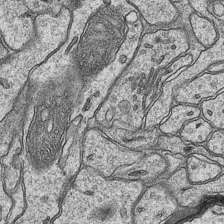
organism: Mouse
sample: CA1 Hippocampus